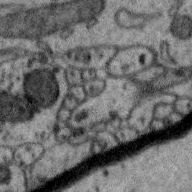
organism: Zebra finch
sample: Brain